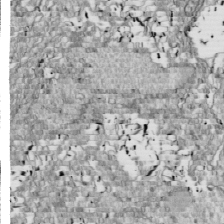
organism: Drosophila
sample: Cell division; meiosis; drosophila spermatocytes